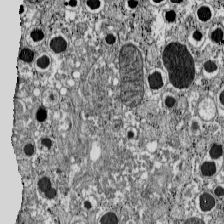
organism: C57BL Mouse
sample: Pancreatic islet